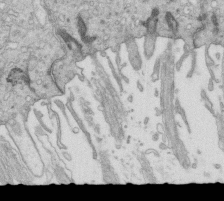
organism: Mouse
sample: Multiciliated cells